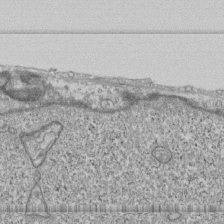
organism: Human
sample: Fibroblast cells